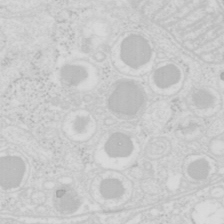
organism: Mouse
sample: Pancreas